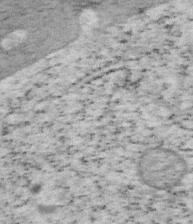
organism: Mouse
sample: OT-I killer T cells with ID8 ovarian cancer cells